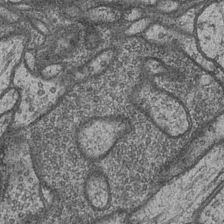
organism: Drosophila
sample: Optic medulla